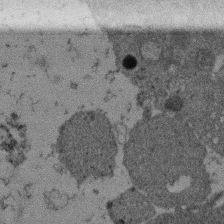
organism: Mouse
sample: Dividing mouse embryo 1 cell stage